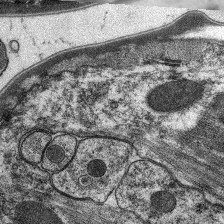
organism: C. elegans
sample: Pharynx